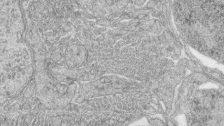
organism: Zebrafish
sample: synaptic ribbons in rod cells and cone cells